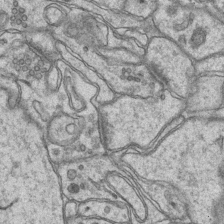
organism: Mouse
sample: CA1 Hippocampus